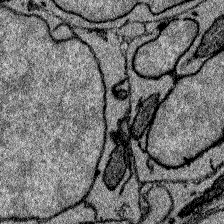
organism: Zebrafish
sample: Larval olfactory bulb